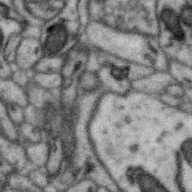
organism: Zebra finch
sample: Brain